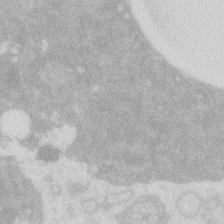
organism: Zebrafish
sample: Macrophage